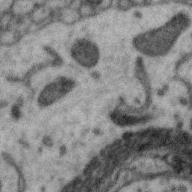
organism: Zebra finch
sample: Brain